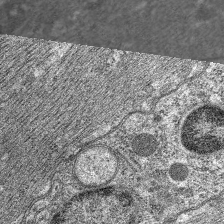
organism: C. elegans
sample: Pharynx